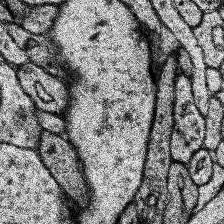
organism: Human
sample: Temporal Lobe